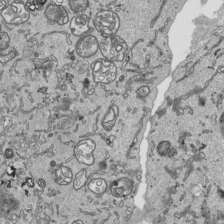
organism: Human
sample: Mitochondria in HCT116 cells